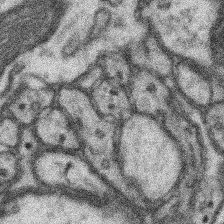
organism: Mouse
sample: Somatosensory cortex neuropil